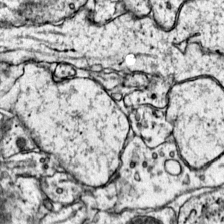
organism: Mouse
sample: Primary visual cortex